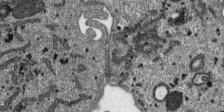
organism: Human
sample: Lung epithelial cells infected with SARS-CoV-2